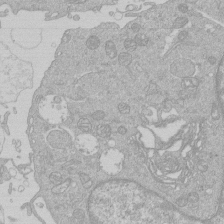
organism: Human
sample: Macrophage cells